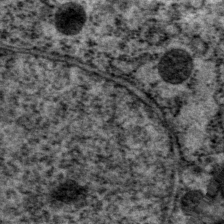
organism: P. pacificus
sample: Pharynx